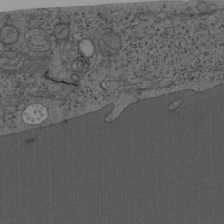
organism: Human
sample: HeLa cells